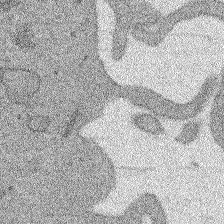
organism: Human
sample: HeLa cells